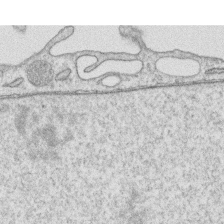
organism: Human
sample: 1205lu cells